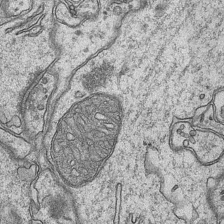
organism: Mouse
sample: CA1 Hippocampus